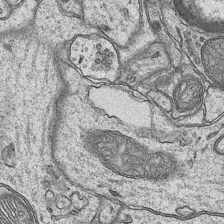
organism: Mouse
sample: CA1 Hippocampus